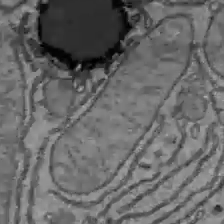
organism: C57BL Mouse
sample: Liver